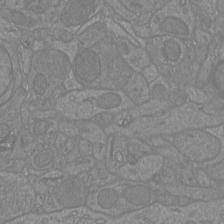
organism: Mouse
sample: Cortical neurons